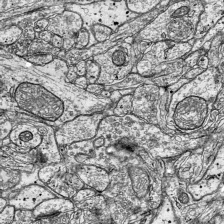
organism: Mouse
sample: Visual Cortex